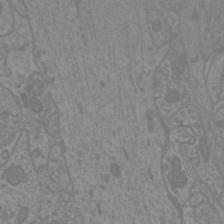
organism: Mouse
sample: Cortical neurons